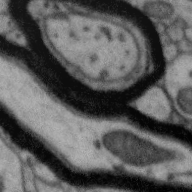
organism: Zebra finch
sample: Brain